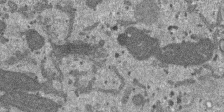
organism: Human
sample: Lung epithelial cells infected with SARS-CoV-2